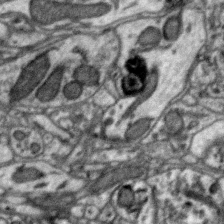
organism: Zebra finch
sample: Brain